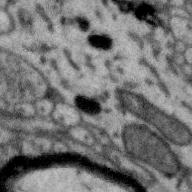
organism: Zebra finch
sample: Brain